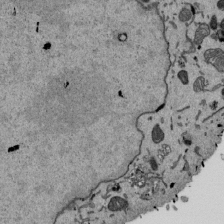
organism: Mouse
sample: ED-1 cell nuclei; centrioles